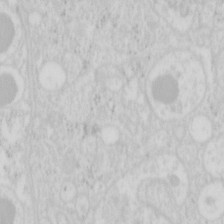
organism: Mouse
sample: Pancreas